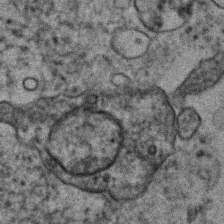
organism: Human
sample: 1205lu cells